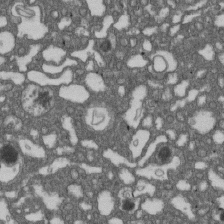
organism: Drosophila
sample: Nephrocyte